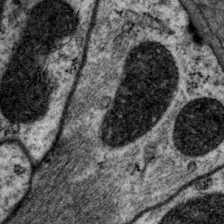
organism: P. pacificus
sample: Pharynx